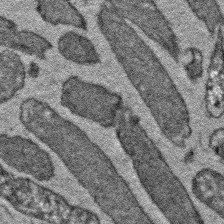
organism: E. coli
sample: E. Coli Bacteria